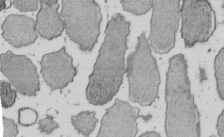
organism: E. coli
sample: Bacterial nucleoid